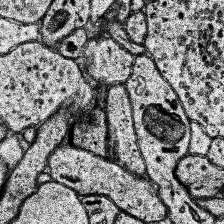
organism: Human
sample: Temporal Lobe